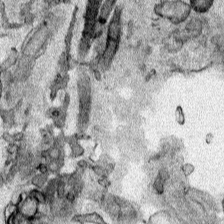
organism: Human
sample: Mitochondria in HCT116 cells